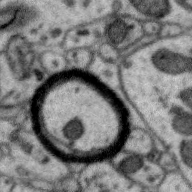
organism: Zebra finch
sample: Brain